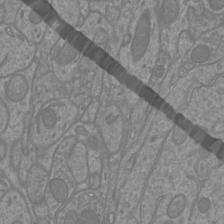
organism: Mouse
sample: Cortical neurons